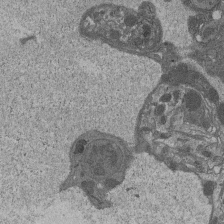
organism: Drosophila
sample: Antenna